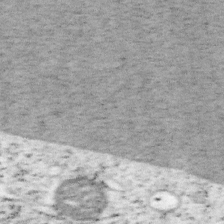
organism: Mouse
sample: OT-I killer T cells with ID8 ovarian cancer cells